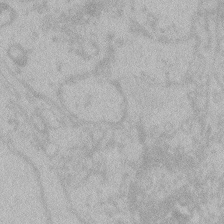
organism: Zebrafish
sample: Macrophage infected with Toxoplasma gondii